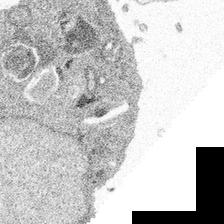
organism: Spongilla lacustris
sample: Multiple